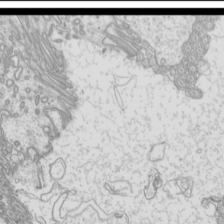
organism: Mouse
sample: Cilia; mouse epididymis